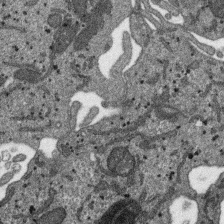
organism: Human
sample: Lung epithelial cells infected with SARS-CoV-2